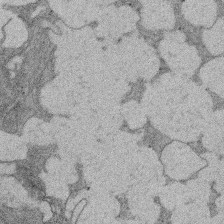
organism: Rat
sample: Salivary granule